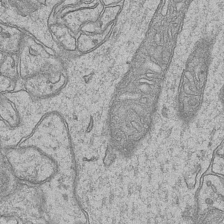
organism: Mouse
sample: CA1 Hippocampus